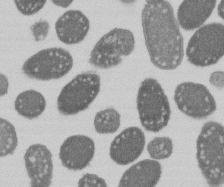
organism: E. coli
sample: Bacterial nucleoid